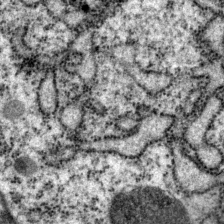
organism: P. pacificus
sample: Pharynx